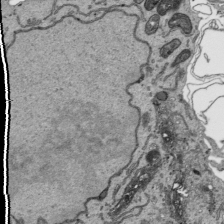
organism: Human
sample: Mitochondria in HCT116 cells